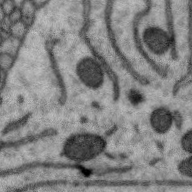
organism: Zebra finch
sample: Brain